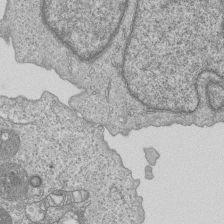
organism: Human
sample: MDA-MB-231 cells